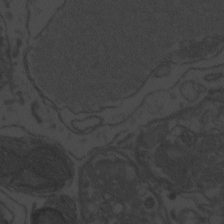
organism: Zebrafish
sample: Macrophage infected with Toxoplasma gondii